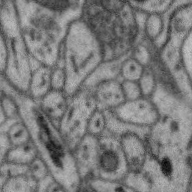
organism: Zebra finch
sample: Brain